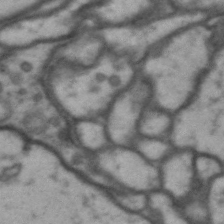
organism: Drosophila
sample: Brain